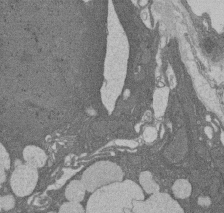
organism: Rat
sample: Salivary granule